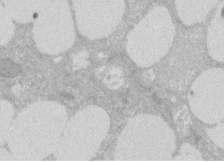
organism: Rat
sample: Salivary granule